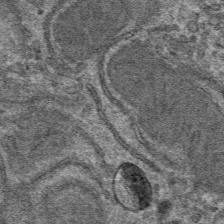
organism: Mouse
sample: Mouse hepatocytes